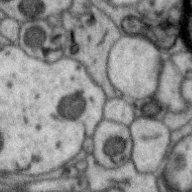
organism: Zebra finch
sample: Brain